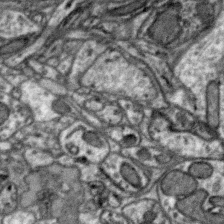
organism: Zebra finch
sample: Brain